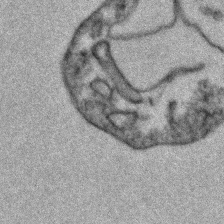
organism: Zebrafish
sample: Zebrafish embryo